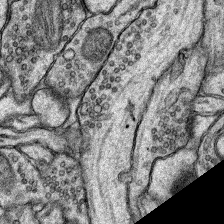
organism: Rat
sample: Hippocampus